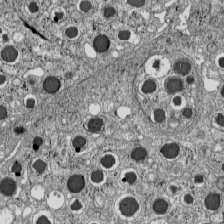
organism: C57BL Mouse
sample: Pancreatic islet